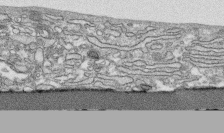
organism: Human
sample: CRL-1474